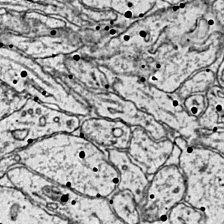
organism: Mouse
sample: Primary visual cortex